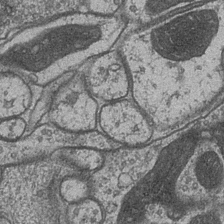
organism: Drosophila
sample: Optic medulla